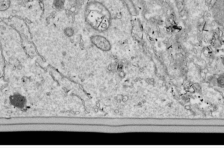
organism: Drosophila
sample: Cell division; meiosis; drosophila spermatocytes